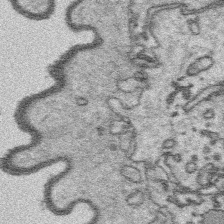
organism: Platynereis dumerilii